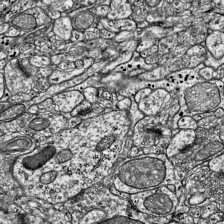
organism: Mouse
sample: Visual Cortex